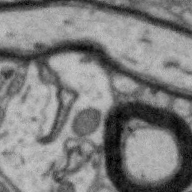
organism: Zebra finch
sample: Brain